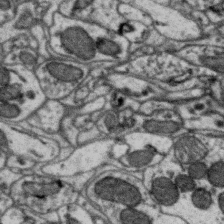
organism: Zebra finch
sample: Brain